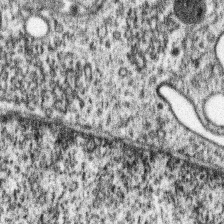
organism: Human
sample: HeLa cells